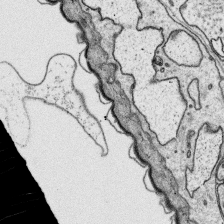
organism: Platynereis dumerilii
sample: Parapodia